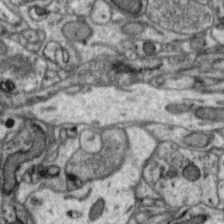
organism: Zebra finch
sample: Brain